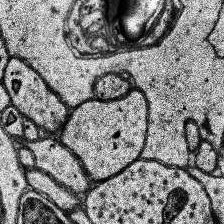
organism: Human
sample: Temporal Lobe